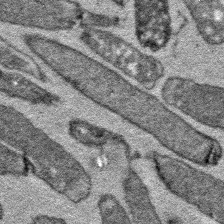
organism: E. coli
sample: E. Coli Bacteria